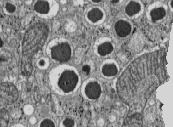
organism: C57BL Mouse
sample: Pancreatic islet